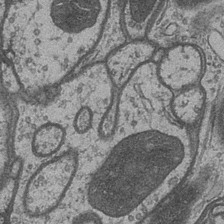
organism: Drosophila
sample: Optic medulla